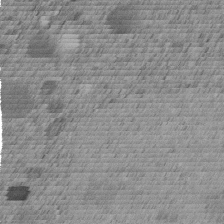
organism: C. elegans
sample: C. elegans embryo early stage